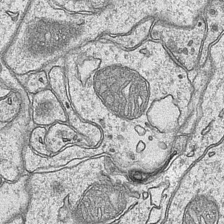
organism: Mouse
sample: CA1 Hippocampus